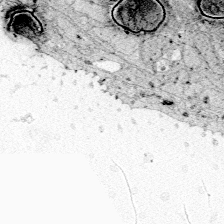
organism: Zebrafish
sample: Whole-Brain